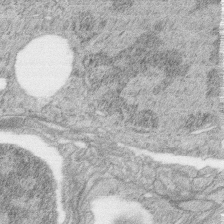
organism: Zebrafish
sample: synaptic ribbons in rod cells and cone cells